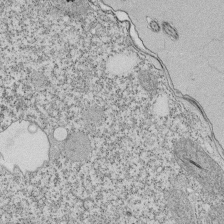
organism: Tetrahymena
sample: Cilia in tetrahymena